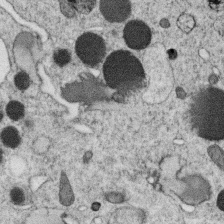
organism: C. elegans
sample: C. elegans oocyte; sperm cells